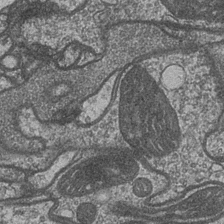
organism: Drosophila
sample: Optic medulla